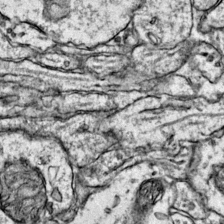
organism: Mouse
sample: Primary visual cortex